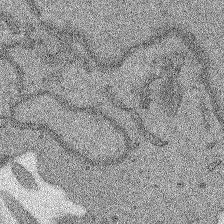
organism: Human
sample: HeLa cells